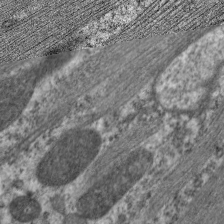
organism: C. elegans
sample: Pharynx